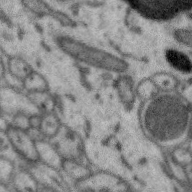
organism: Zebra finch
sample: Brain